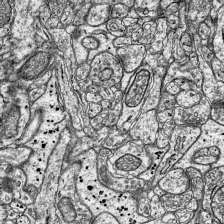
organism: Mouse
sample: Visual Cortex